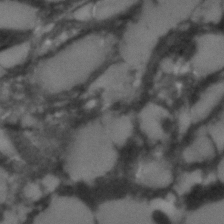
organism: C. elegans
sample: C. elegans embryo